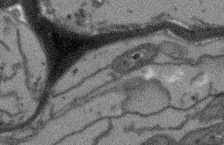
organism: Arabidopsis thaliana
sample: Root tip